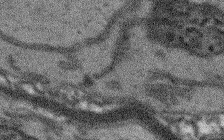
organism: Arabidopsis thaliana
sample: Root tip